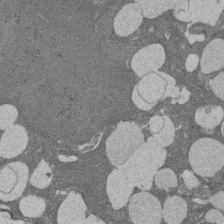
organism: Rat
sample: Salivary granule